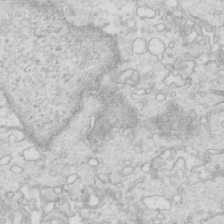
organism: Mouse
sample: Multiciliated cells